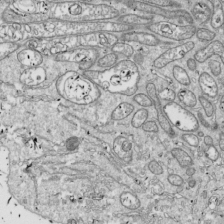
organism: Drosophila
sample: Cell division; meiosis; drosophila spermatocytes